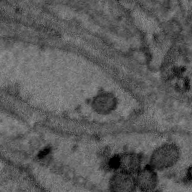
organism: Zebra finch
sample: Brain